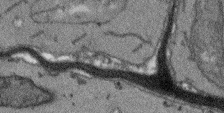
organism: Arabidopsis thaliana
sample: Root tip